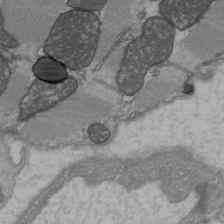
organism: C57BL Mouse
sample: Heart